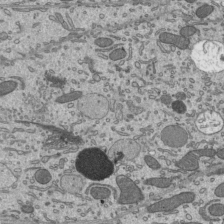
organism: Mouse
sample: Mouse epididymis efferent ductule cilia